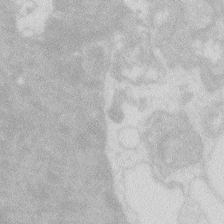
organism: Zebrafish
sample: Macrophage